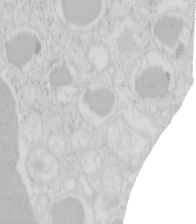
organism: Mouse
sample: Pancreas